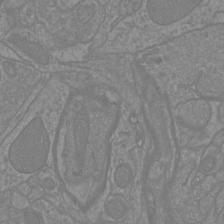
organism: Mouse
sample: Cortical neurons